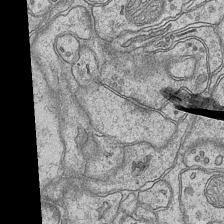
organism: Mouse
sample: CA1 Hippocampus